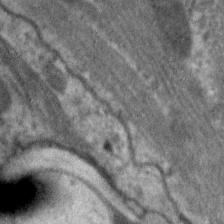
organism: C. elegans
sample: Pharynx